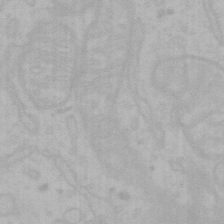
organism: Mouse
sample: Choroid plexus